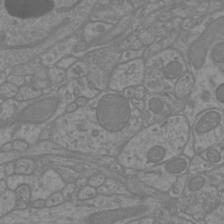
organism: Mouse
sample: Cortical neurons